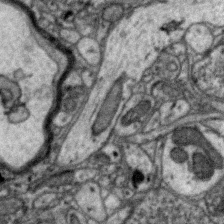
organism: Zebra finch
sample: Brain